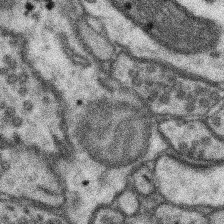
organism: Mouse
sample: Somatosensory cortex neuropil